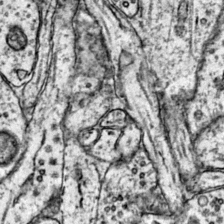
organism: Mouse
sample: Primary visual cortex